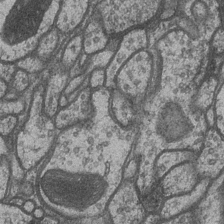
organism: Drosophila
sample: Optic medulla